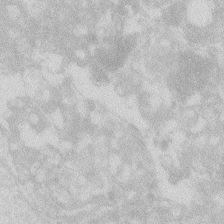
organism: Zebrafish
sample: Macrophage